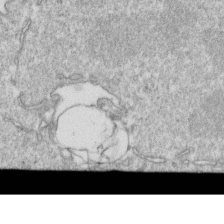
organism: Mouse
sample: Activated OT-1 CD8+ T cells